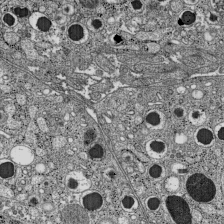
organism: C57BL Mouse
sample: Pancreatic islet